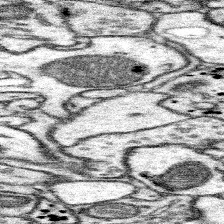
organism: Mouse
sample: Somatosensory cortex neuropil